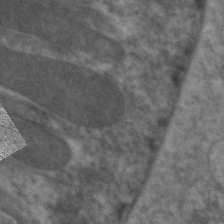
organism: C. elegans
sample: Pharynx